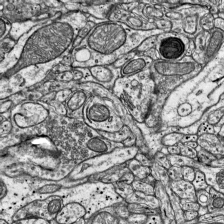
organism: Mouse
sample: Visual Cortex